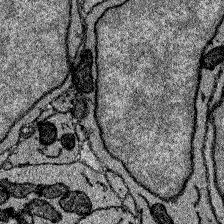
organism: Zebrafish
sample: Larval olfactory bulb